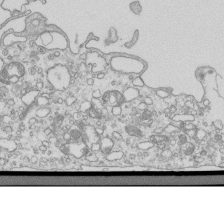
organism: Mouse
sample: Macrophages